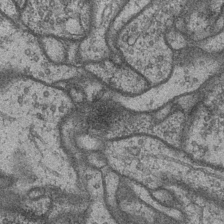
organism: Drosophila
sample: Optic medulla